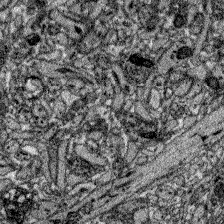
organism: Zebrafish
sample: Larval olfactory bulb